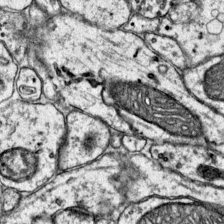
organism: Mouse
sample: Primary visual cortex